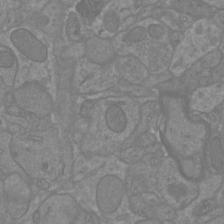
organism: Mouse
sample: Cortical neurons